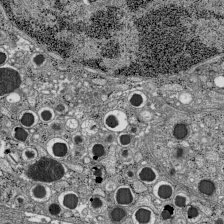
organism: C57BL Mouse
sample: Pancreatic islet